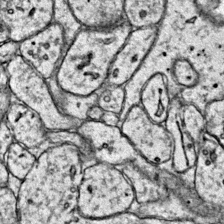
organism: Mouse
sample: Primary visual cortex